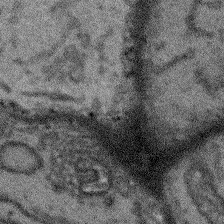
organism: Arabidopsis thaliana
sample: Root tip